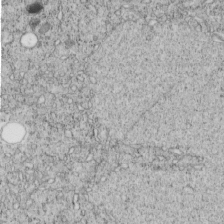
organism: C. elegans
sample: C. elegans embryo early stage